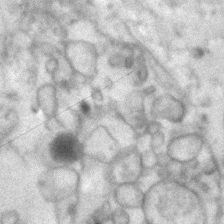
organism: Human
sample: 1205lu cells